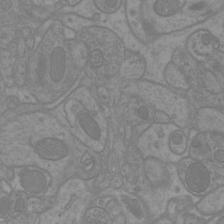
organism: Mouse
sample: Cortical neurons